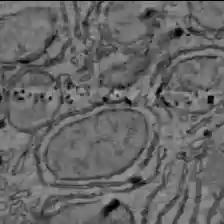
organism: C57BL Mouse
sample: Liver